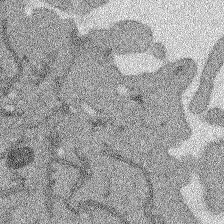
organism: Human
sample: HeLa cells